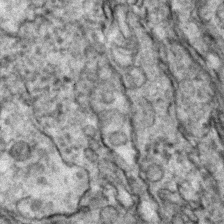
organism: Zebrafish